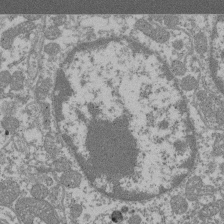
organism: Mouse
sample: Glomerulus